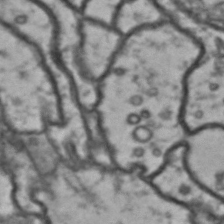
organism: Drosophila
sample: Brain